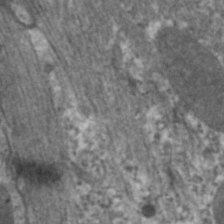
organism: C. elegans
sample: Pharynx